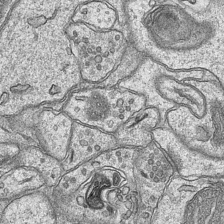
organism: Mouse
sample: CA1 Hippocampus